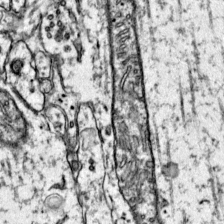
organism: Mouse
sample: Primary visual cortex